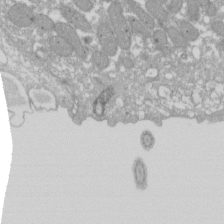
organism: Xenopus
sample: Cilia; centrioles in frog embryo cells